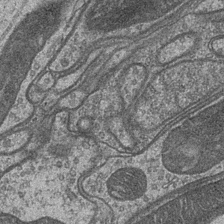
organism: Drosophila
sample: Optic medulla